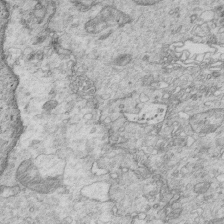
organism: Mouse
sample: Multiciliated cells